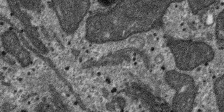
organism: Human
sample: Lung epithelial cells infected with SARS-CoV-2